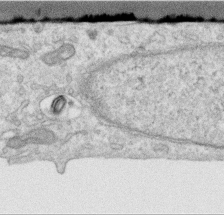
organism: Human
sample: Centriole in RPE cells